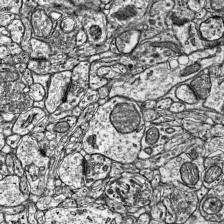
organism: Mouse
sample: Visual Cortex